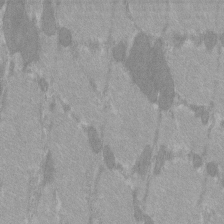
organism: C57BL Mouse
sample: Tibialis anterior muscle cell